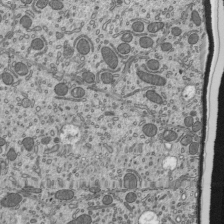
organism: Mouse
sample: Mouse epididymis efferent ductule cilia